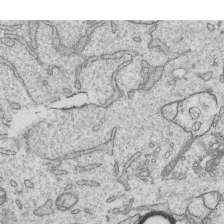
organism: Human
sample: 1205lu cells